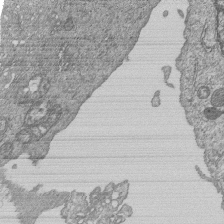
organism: Human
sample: MDA-MB-231 cells